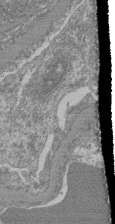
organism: Mouse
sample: Glomerulus